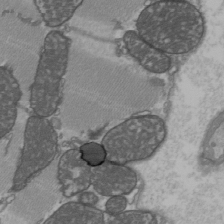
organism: C57BL Mouse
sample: Heart